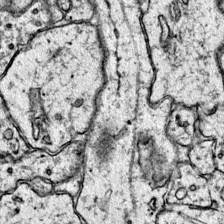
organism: Mouse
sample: Primary visual cortex